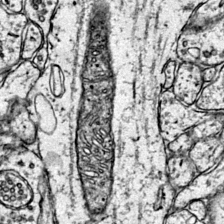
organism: Mouse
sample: Primary visual cortex